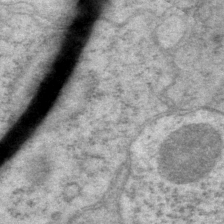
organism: P. pacificus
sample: Pharynx